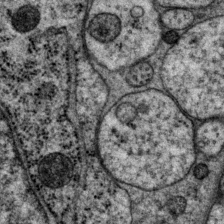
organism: P. pacificus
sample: Pharynx